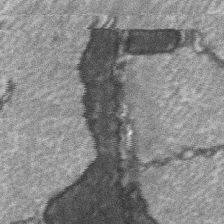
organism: C57BL Mouse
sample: Soleus